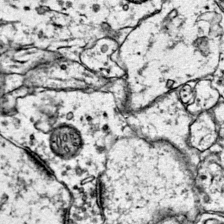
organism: Mouse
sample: Primary visual cortex